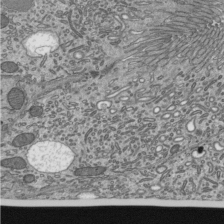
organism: Mouse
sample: Mouse epididymis efferent ductule cilia